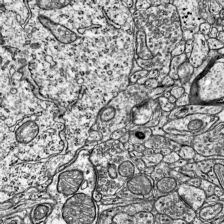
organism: Mouse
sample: Visual Cortex